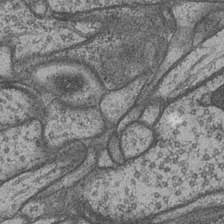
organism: Drosophila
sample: Optic medulla